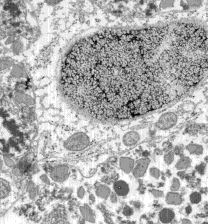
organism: C57BL Mouse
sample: Pancreatic islet